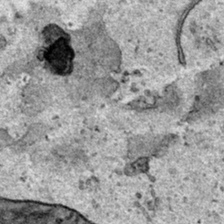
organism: Human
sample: Mitochondria in HCT116 cells